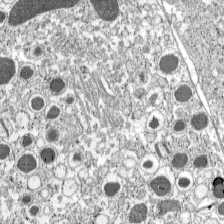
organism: C57BL Mouse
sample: Pancreatic islet